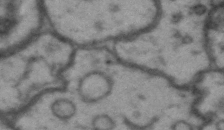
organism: Drosophila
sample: Brain